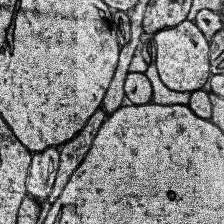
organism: Human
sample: Temporal Lobe